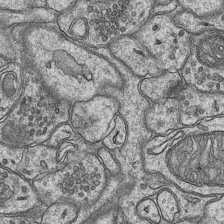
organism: Mouse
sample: CA1 Hippocampus